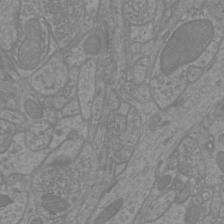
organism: Mouse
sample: Cortical neurons